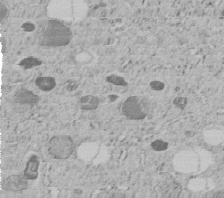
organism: C. elegans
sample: C. elegans embryo early stage